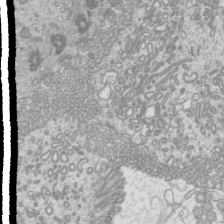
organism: Mouse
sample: Cilia; mouse epididymis